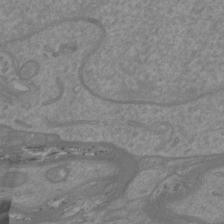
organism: Mouse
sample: Cortical neurons